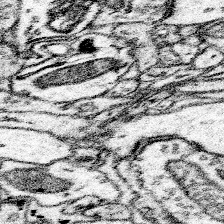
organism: Mouse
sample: Somatosensory cortex neuropil